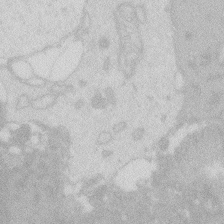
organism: Zebrafish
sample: Macrophage